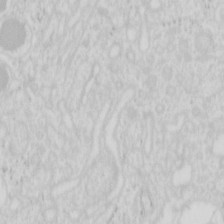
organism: Mouse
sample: Pancreas